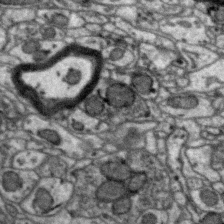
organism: Zebra finch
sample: Brain